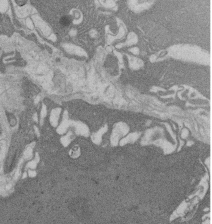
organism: Rat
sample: Salivary granule